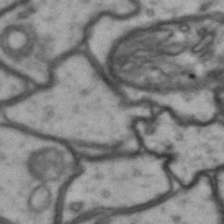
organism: Drosophila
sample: Brain